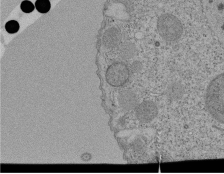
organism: Tetrahymena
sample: Cilia in tetrahymena